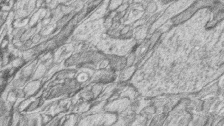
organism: Zebrafish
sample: synaptic ribbons in rod cells and cone cells